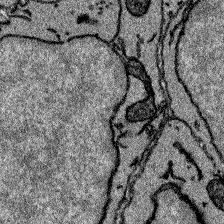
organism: Zebrafish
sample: Larval olfactory bulb